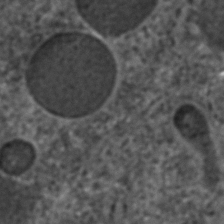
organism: C. elegans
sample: C. elegans embryo